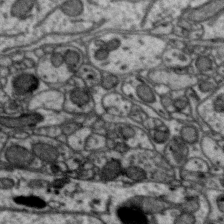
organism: Zebra finch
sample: Brain